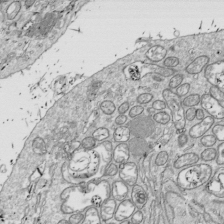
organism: Drosophila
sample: Cell division; meiosis; drosophila spermatocytes